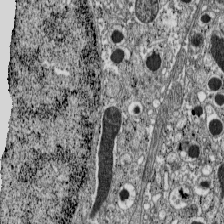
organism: C57BL Mouse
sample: Pancreatic islet